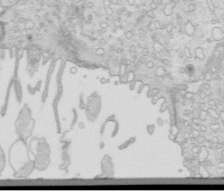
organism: Mouse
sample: Multiciliated cells